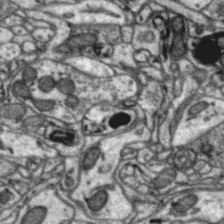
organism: Zebra finch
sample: Brain